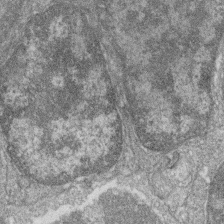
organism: Zebrafish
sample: Cilia; retinal pigment epithelium